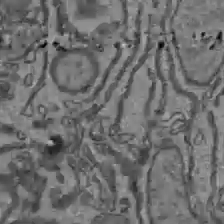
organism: C57BL Mouse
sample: Liver